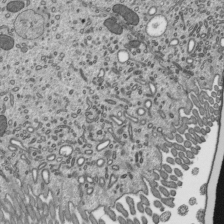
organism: Mouse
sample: Mouse epididymis efferent ductule cilia